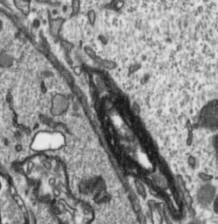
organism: Toxoplasma gondii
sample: Parasites in a vacuole inside a host cell